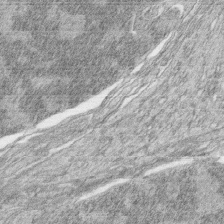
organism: Zebrafish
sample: synaptic ribbons in rod cells and cone cells